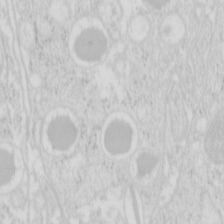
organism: Mouse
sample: Pancreas